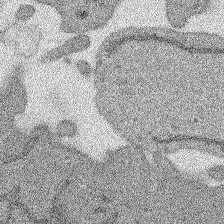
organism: Human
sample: HeLa cells